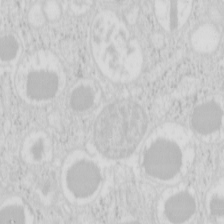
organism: Mouse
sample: Pancreas